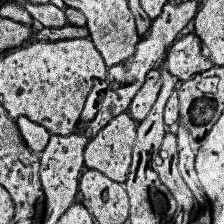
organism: Human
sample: Temporal Lobe